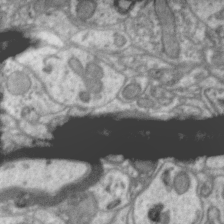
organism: Zebra finch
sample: Brain